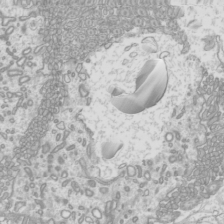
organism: Mouse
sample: Cilia; mouse epididymis